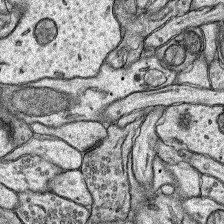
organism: Rat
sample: Hippocampus